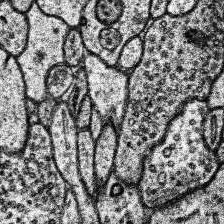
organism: Human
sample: Temporal Lobe